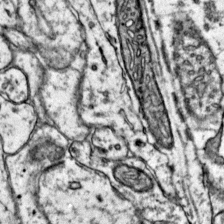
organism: Mouse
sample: Primary visual cortex